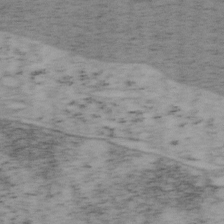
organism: Mouse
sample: OT-I killer T cells with ID8 ovarian cancer cells